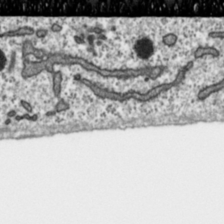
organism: Toxoplasma gondii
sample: Parasites in a vacuole inside a host cell